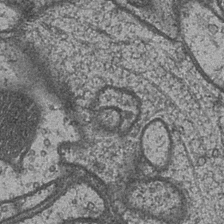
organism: Drosophila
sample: Optic medulla